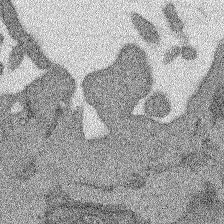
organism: Human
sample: HeLa cells